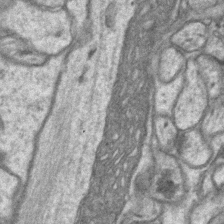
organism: Mouse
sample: CA1 Hippocampus